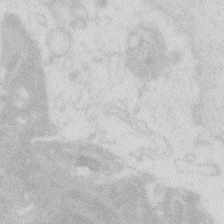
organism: Zebrafish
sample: Macrophage